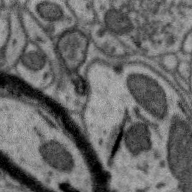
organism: Zebra finch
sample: Brain